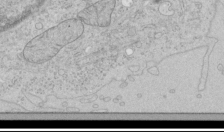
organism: Human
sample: Mitochondria in HCT116 cells